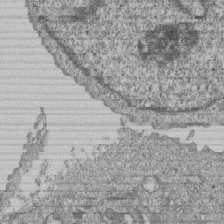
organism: Human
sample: MDA-MB-231 cells